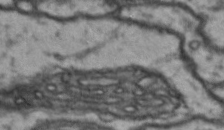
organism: Drosophila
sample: Brain